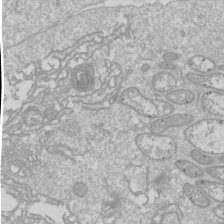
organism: Drosophila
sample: Cell division; meiosis; drosophila spermatocytes